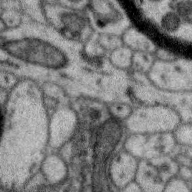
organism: Zebra finch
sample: Brain